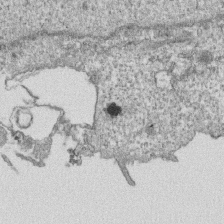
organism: Human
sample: HeLa cell HIV synapse